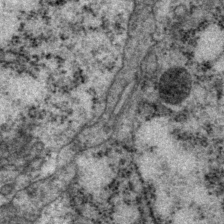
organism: P. pacificus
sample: Pharynx